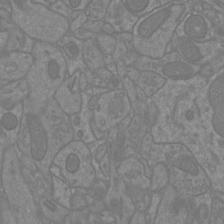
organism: Mouse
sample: Cortical neurons